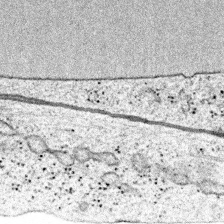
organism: Human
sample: HeLa cells